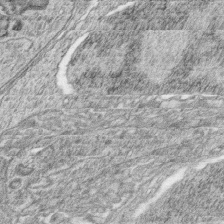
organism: Zebrafish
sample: synaptic ribbons in rod cells and cone cells